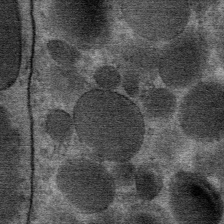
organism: Mouse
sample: Mouse Salivary gland